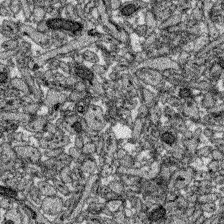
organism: Zebrafish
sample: Larval olfactory bulb